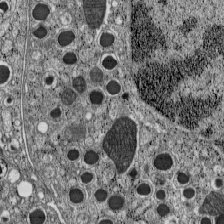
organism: C57BL Mouse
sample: Pancreatic islet